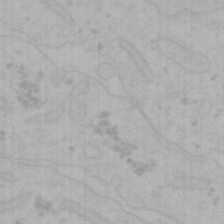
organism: Mouse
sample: Choroid plexus